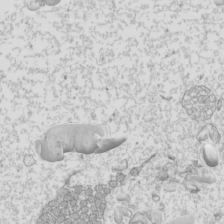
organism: Mouse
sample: Cilia; mouse epididymis